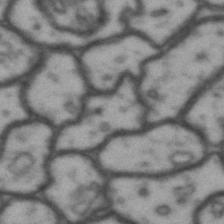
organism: Drosophila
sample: Brain